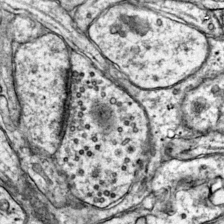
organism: Mouse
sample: Primary visual cortex